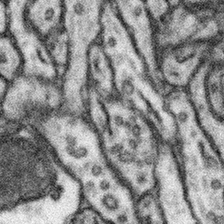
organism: Mouse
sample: Somatosensory cortex neuropil